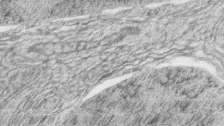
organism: Zebrafish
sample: synaptic ribbons in rod cells and cone cells